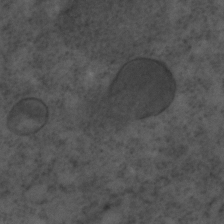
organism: C. elegans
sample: C. elegans embryo